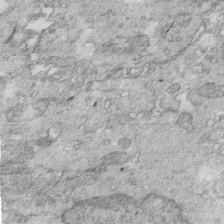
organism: Mouse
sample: Multiciliated cells